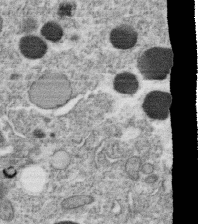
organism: C. elegans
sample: C. elegans oocyte; sperm cells